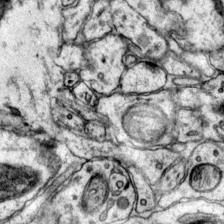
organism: Mouse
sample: Primary visual cortex